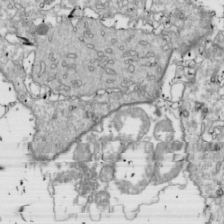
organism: Drosophila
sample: Cell division; meiosis; drosophila spermatocytes